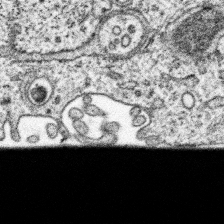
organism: Human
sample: HeLa cells